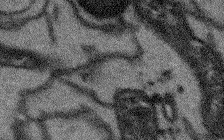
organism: Arabidopsis thaliana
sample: Root tip